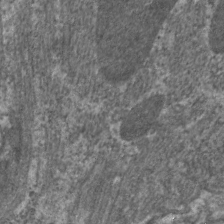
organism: C. elegans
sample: Pharynx